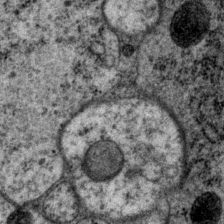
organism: P. pacificus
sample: Pharynx